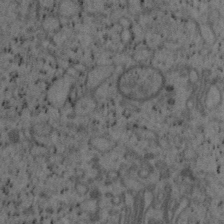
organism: Human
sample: HeLa cells